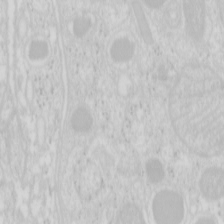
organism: Mouse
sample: Pancreas